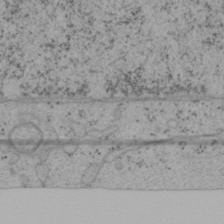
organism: Human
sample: HeLa cells